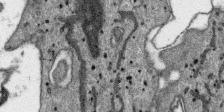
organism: Human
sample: Lung epithelial cells, uninfected (mock) control